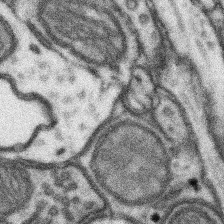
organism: Mouse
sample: Somatosensory cortex neuropil